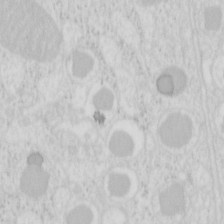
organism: Mouse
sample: Pancreas